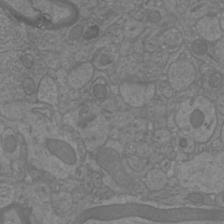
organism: Mouse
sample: Cortical neurons